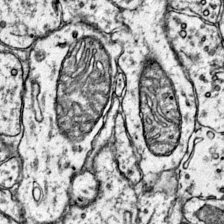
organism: Mouse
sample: Primary visual cortex